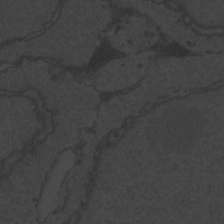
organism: Zebrafish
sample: Macrophage infected with Toxoplasma gondii